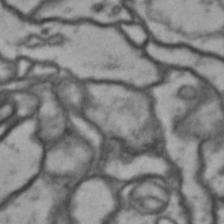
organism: Drosophila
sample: Brain